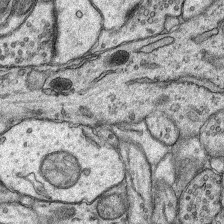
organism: Rat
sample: Hippocampus